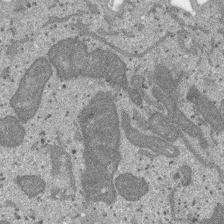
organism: Human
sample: Lung epithelial cells infected with SARS-CoV-2